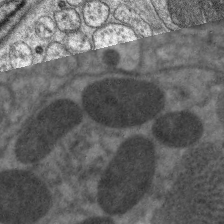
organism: C. elegans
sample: Pharynx